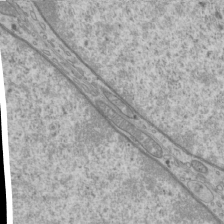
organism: Mouse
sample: Cilia; mouse epididymis